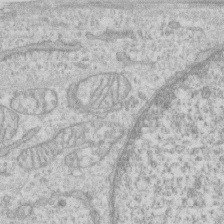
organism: Human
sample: CRL-1474